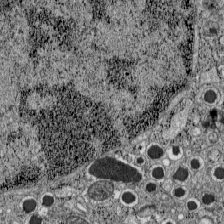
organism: C57BL Mouse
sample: Pancreatic islet